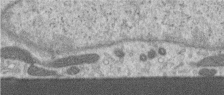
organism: Human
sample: Centriole in RPE cells